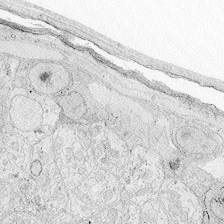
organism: Zebrafish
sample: Whole-Brain